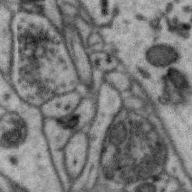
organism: Zebra finch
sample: Brain